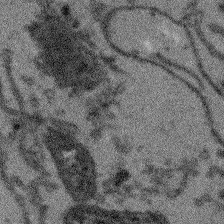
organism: Arabidopsis thaliana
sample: Root tip